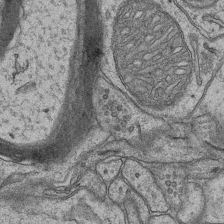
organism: Mouse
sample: CA1 Hippocampus